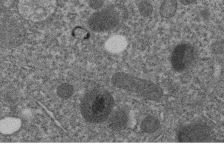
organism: C. elegans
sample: C. elegans embryo early stage